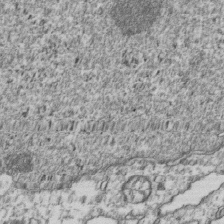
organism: Human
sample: Activated Jurkat CD4+ T cells